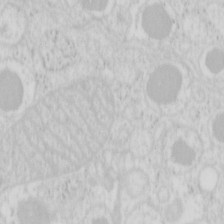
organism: Mouse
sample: Pancreas